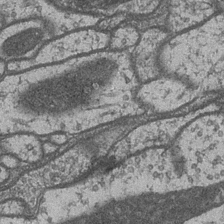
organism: Drosophila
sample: Optic medulla